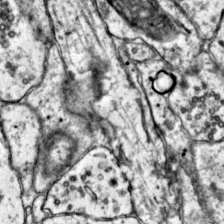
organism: Mouse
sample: Primary visual cortex